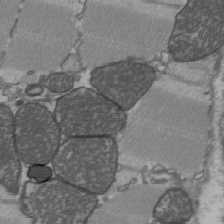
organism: C57BL Mouse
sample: Heart